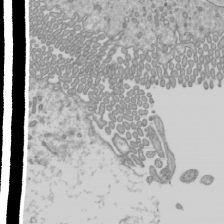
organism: Mouse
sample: Cilia; mouse epididymis